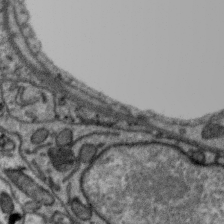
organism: Zebra finch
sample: Brain